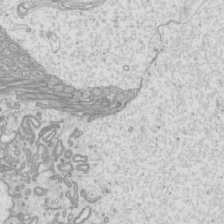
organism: Mouse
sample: Cilia; mouse epididymis